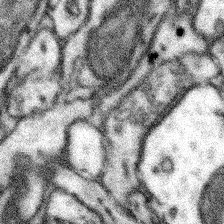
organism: Mouse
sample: Somatosensory cortex neuropil